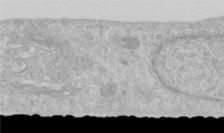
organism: Human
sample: Centriole in RPE cells